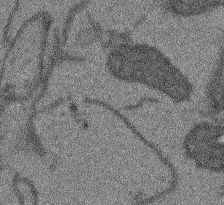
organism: Arabidopsis thaliana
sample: Root tip